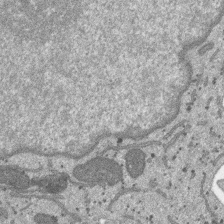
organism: Human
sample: Lung epithelial cells infected with SARS-CoV-2